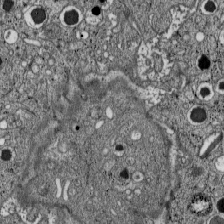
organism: C57BL Mouse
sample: Pancreatic islet